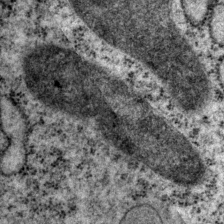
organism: P. pacificus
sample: Pharynx